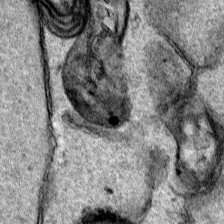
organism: Human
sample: Mitochondria in HCT116 cells